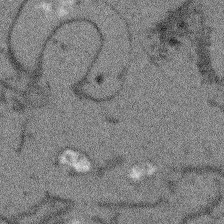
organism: Arabidopsis thaliana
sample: Root tip